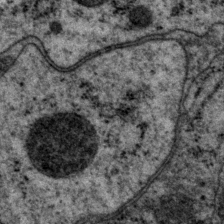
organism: P. pacificus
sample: Pharynx